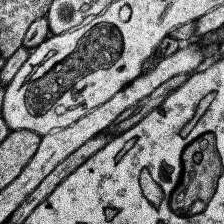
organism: Human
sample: Temporal Lobe